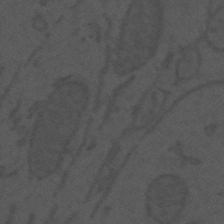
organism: Mouse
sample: Suprachiasmatic nucleus